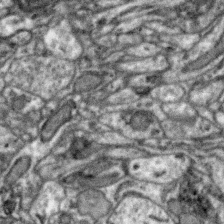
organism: Zebra finch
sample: Brain